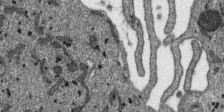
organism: Human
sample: Lung epithelial cells infected with SARS-CoV-2